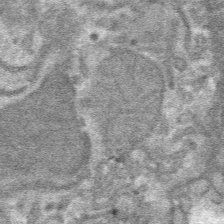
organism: Mouse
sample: Mouse hepatocytes